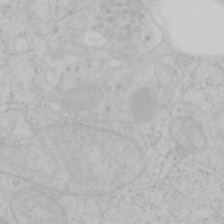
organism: Mouse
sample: OT-I killer T cells with ID8 ovarian cancer cells